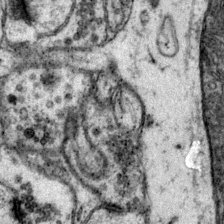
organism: Mouse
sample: Primary visual cortex